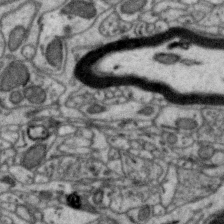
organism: Zebra finch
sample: Brain